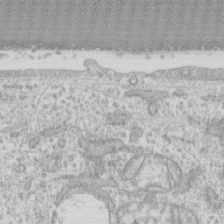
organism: Human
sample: CRL-1474